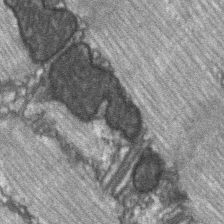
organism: C57BL Mouse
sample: Soleus